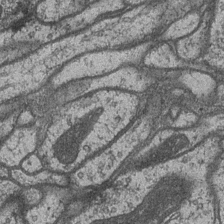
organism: Drosophila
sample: Optic medulla